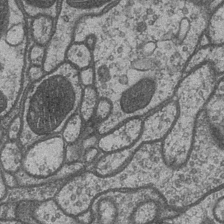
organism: Drosophila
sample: Optic medulla